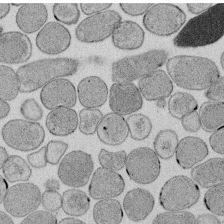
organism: E. coli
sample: Bacterial nucleoid